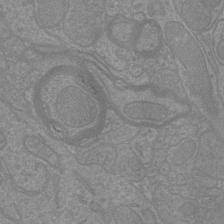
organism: Mouse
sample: Cortical neurons